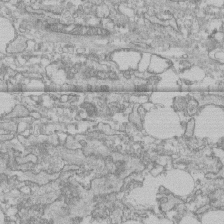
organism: Human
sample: CRL-1474